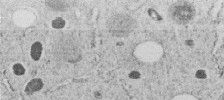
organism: C. elegans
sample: C. elegans embryo early stage